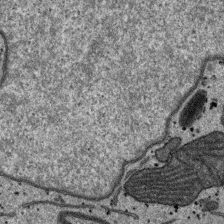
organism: Human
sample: Lung epithelial cells, uninfected (mock) control